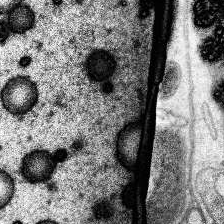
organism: Human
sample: Temporal Lobe